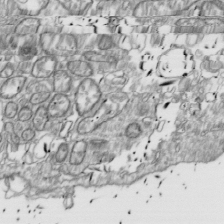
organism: Drosophila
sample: Cell division; meiosis; drosophila spermatocytes